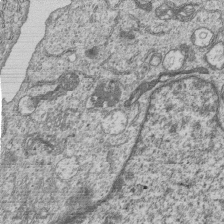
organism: Human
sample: MDA-MB-231 cells